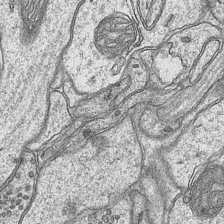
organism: Mouse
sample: CA1 Hippocampus